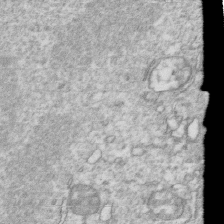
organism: Mouse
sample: Activated OT-1 CD8+ T cells